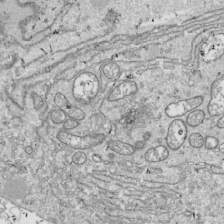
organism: Drosophila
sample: Cell division; meiosis; drosophila spermatocytes